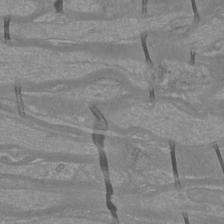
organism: Mouse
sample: Cortical neurons